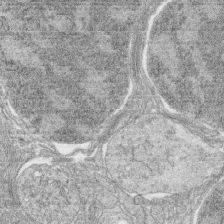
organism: Zebrafish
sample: synaptic ribbons in rod cells and cone cells